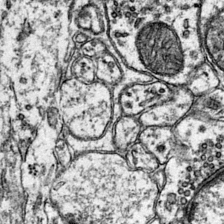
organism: Mouse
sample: Primary visual cortex